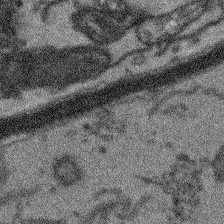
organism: Arabidopsis thaliana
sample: Root tip